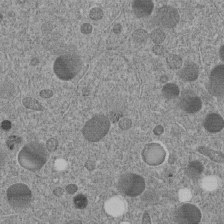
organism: C. elegans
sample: C. elegans embryo early stage